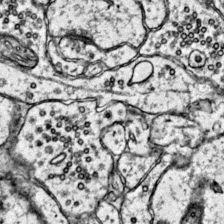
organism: Mouse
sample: Primary visual cortex